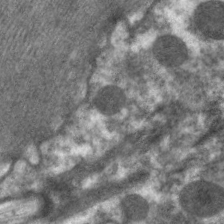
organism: C. elegans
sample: Pharynx